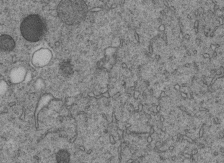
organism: C. elegans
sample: C. elegans embryo early stage